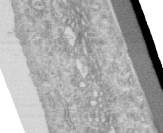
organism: Human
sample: Centriole in RPE cells